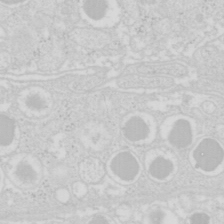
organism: Mouse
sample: Pancreas